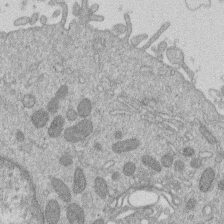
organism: Human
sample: Macrophage cells